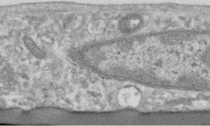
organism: Human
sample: Centriole in RPE cells